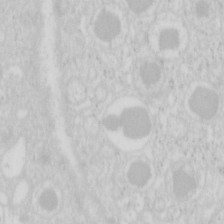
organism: Mouse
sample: Pancreas